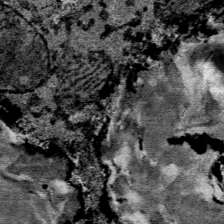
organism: Mouse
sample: Mouse Salivary gland